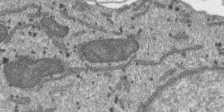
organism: Human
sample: Lung epithelial cells infected with SARS-CoV-2